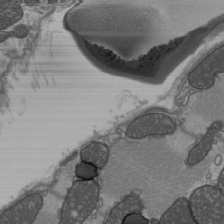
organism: C57BL Mouse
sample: Heart